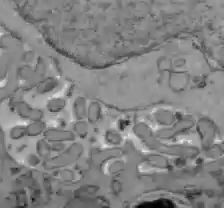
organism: C57BL Mouse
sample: Liver